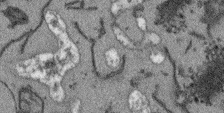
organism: Arabidopsis thaliana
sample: Root tip